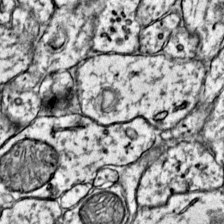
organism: Mouse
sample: Primary visual cortex